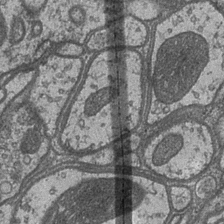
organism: Drosophila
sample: Optic medulla